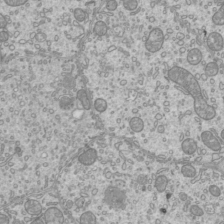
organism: Mouse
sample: Cilia; mouse epididymis